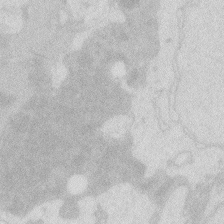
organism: Zebrafish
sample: Macrophage